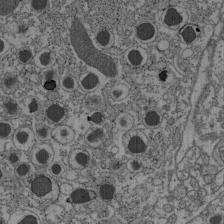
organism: C57BL Mouse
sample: Pancreatic islet